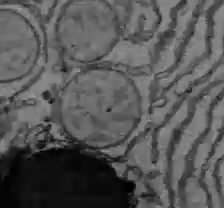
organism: C57BL Mouse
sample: Liver